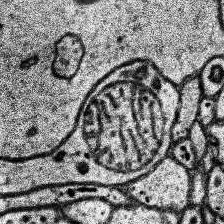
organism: Human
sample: Temporal Lobe